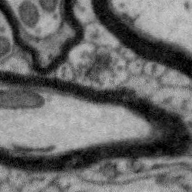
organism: Zebra finch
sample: Brain